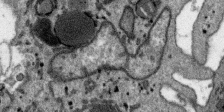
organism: Human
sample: Lung epithelial cells, uninfected (mock) control